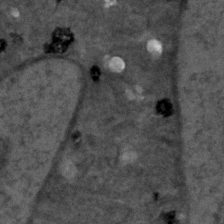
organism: C. elegans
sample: C. elegans embryo